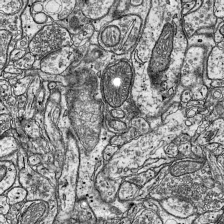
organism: Mouse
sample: Visual Cortex